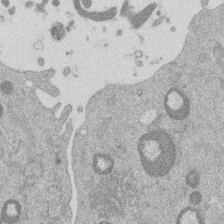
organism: Mouse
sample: Dividing mouse embryo 1 cell stage